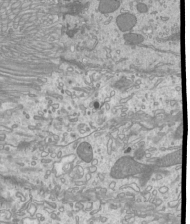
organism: Mouse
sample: Cilia; mouse epididymis